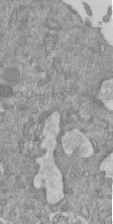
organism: Mouse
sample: ED-1 cell nuclei; centrioles